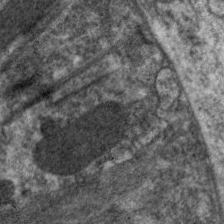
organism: C. elegans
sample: Pharynx